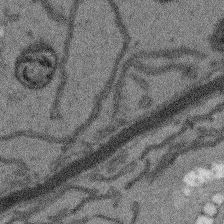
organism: Arabidopsis thaliana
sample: Root tip